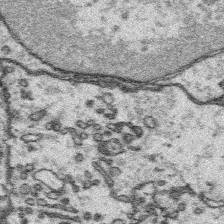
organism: Platynereis dumerilii